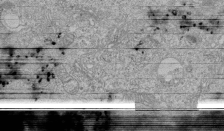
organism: Human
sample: MDA-MB-231 cells